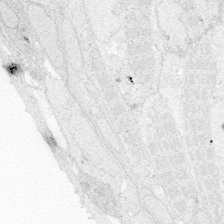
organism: Zebrafish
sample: Whole-Brain